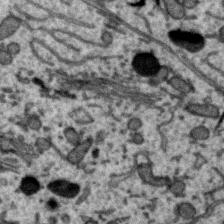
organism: Zebra finch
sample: Brain